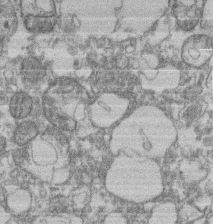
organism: Mouse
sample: T cell stromal cell synapse